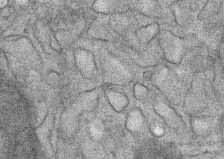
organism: Mouse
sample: Mouse Salivary gland